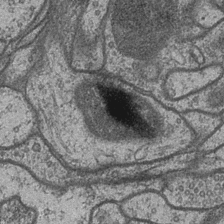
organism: Drosophila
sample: Optic medulla